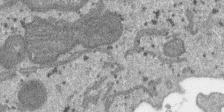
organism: Human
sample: Lung epithelial cells infected with SARS-CoV-2